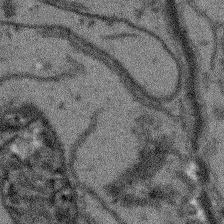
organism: Arabidopsis thaliana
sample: Root tip